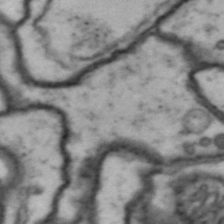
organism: Drosophila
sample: Brain